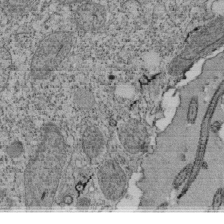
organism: Tetrahymena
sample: Cilia in tetrahymena